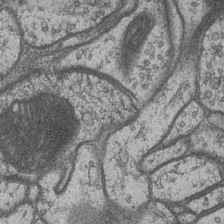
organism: Drosophila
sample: Optic medulla